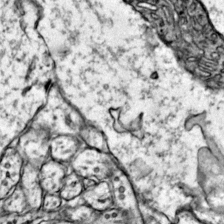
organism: Mouse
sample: Primary visual cortex